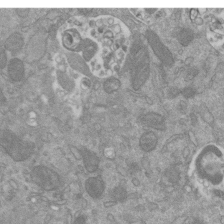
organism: Mouse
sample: ED-1 cell nuclei; centrioles